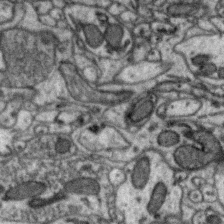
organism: Zebra finch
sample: Brain